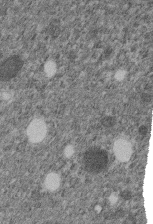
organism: C. elegans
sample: C. elegans embryo early stage